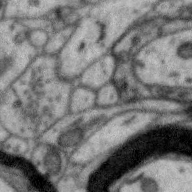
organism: Zebra finch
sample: Brain